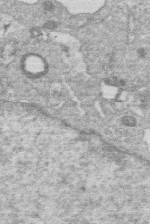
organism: Human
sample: Macrophage cells